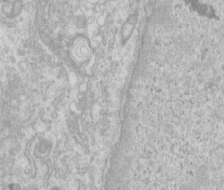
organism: Human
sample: Centriole in RPE cells